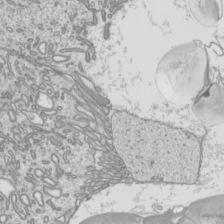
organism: Mouse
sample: Cilia; mouse epididymis